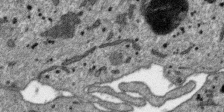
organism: Human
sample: Lung epithelial cells, uninfected (mock) control